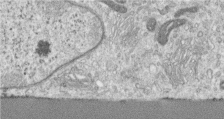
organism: Human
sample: Centriole in RPE cells